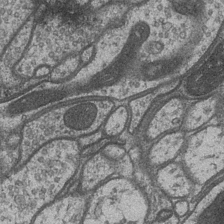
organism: Drosophila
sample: Optic medulla